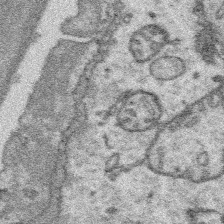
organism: Platynereis dumerilii